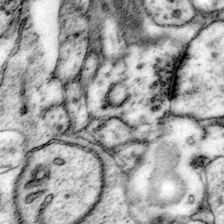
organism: Mouse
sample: Primary visual cortex